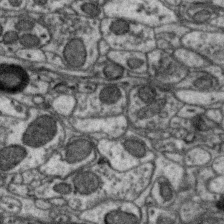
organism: Zebra finch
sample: Brain